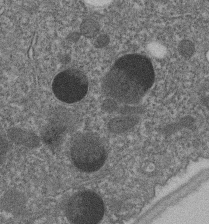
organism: C. elegans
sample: C. elegans embryo early stage